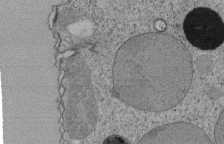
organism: Tetrahymena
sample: Cilia in tetrahymena